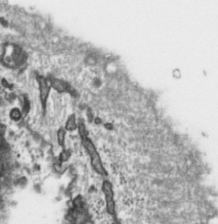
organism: Toxoplasma gondii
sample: Parasites in a vacuole inside a host cell